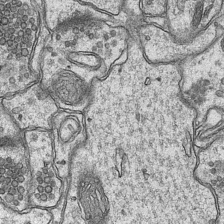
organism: Mouse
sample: CA1 Hippocampus